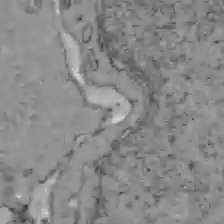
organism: C57BL Mouse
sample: Liver